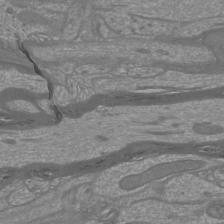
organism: Mouse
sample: Cortical neurons